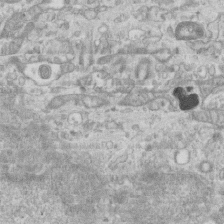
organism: Mouse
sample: Centriole in ependymal cells